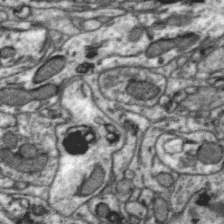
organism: Zebra finch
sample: Brain